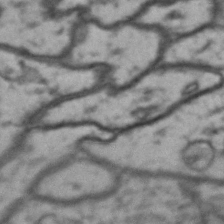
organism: Drosophila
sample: Brain